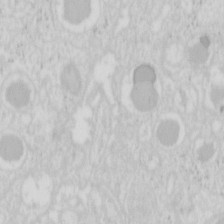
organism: Mouse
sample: Pancreas